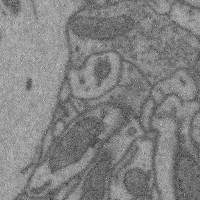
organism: Mouse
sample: Cerebral cortex